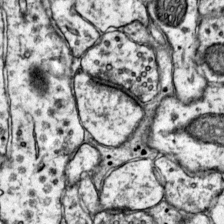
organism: Mouse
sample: Primary visual cortex